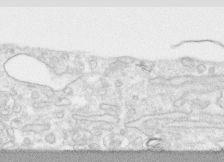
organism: Human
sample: CRL-1474